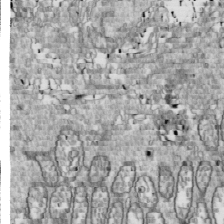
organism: Drosophila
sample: Cell division; meiosis; drosophila spermatocytes